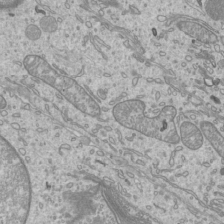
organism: Mouse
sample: Cilia; mouse epididymis